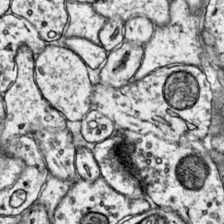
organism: Mouse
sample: Primary visual cortex